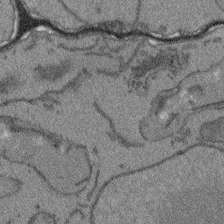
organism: Arabidopsis thaliana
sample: Root tip